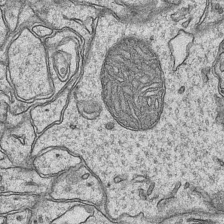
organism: Mouse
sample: CA1 Hippocampus